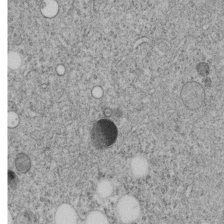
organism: C. elegans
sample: C. elegans embryo early stage